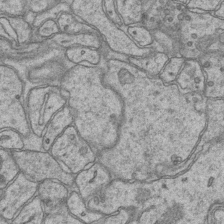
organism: Mouse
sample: CA1 Hippocampus